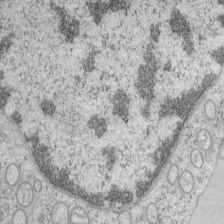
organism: Mouse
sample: OT-I killer T cells with ID8 ovarian cancer cells